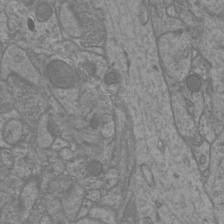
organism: Mouse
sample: Cortical neurons